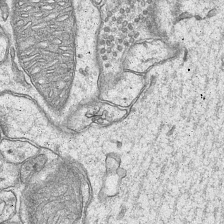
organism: Mouse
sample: CA1 Hippocampus